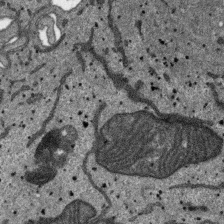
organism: Human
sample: Lung epithelial cells, uninfected (mock) control